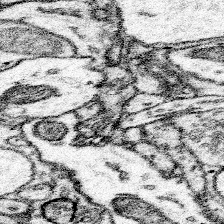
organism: Mouse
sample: Somatosensory cortex neuropil